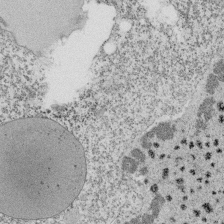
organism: Tetrahymena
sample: Cilia in tetrahymena